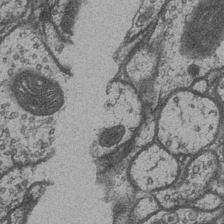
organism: Drosophila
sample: Optic medulla